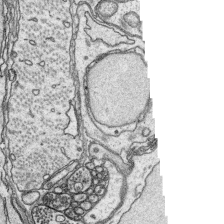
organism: Platynereis dumerilii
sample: Parapodia